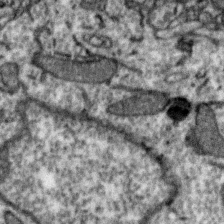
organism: Zebra finch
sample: Brain